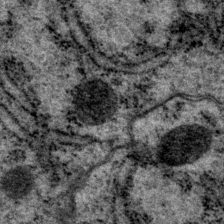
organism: P. pacificus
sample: Pharynx